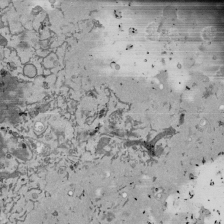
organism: Mouse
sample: ED-1 cell nuclei; centrioles